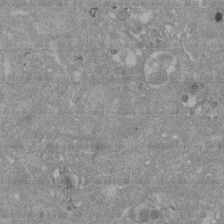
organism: Mouse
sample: ED-1 cell nuclei; centrioles